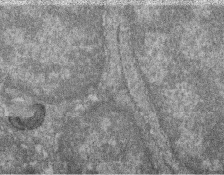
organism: Zebrafish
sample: Cilia; retinal pigment epithelium